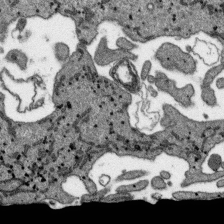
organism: Human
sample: Lung epithelial cells, uninfected (mock) control